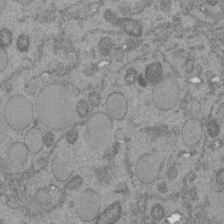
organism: C. elegans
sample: C. elegans embryo early stage